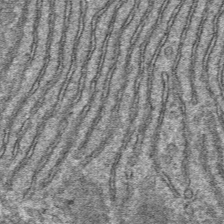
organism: Mouse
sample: Mouse hepatocytes